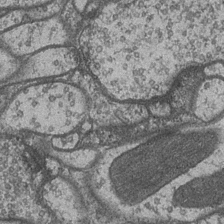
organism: Drosophila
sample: Optic medulla